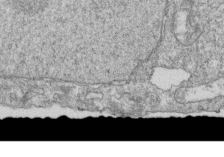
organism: Human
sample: HeLa cell HIV synapse